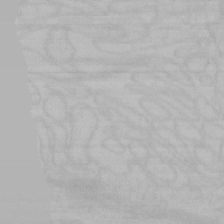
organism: Mouse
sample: Choroid plexus